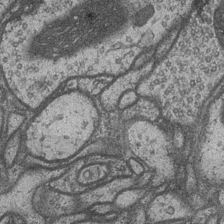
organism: Drosophila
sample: Optic medulla